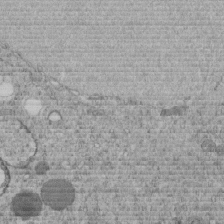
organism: C. elegans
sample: C. elegans embryo early stage